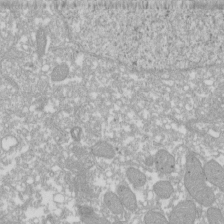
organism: Xenopus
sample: Cilia; centrioles in frog embryo cells